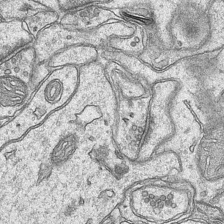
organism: Mouse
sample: CA1 Hippocampus